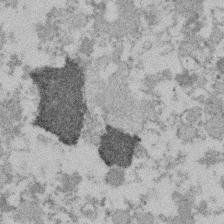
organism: Mouse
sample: Dividing mouse embryo 1 cell stage